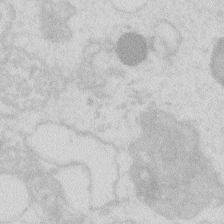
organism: Zebrafish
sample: Macrophage